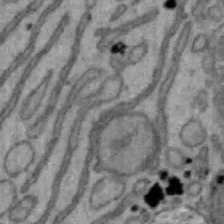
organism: Mouse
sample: Liver